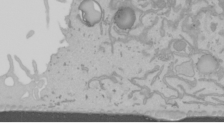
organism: Mouse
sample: Cancer cell death in ED-1 cells